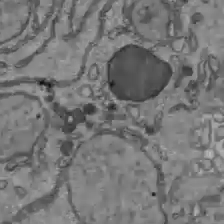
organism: C57BL Mouse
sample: Liver